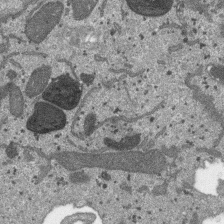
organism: Human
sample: Lung epithelial cells infected with SARS-CoV-2